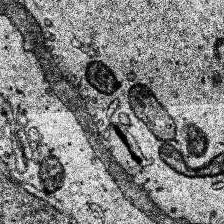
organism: Human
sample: Temporal Lobe